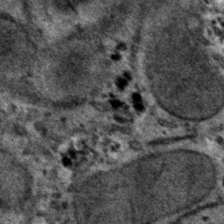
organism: Mouse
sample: Mouse hepatocytes